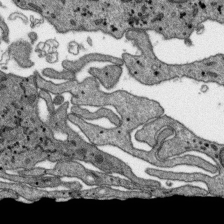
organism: Human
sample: Lung epithelial cells, uninfected (mock) control